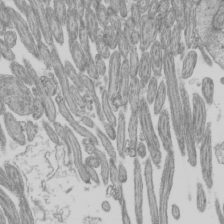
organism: Mouse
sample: Cilia; mouse epididymis